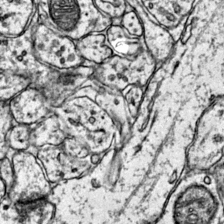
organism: Mouse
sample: Primary visual cortex